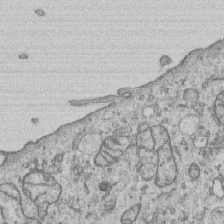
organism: Human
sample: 1205lu cells